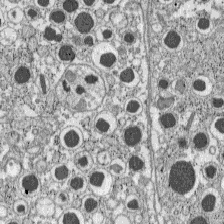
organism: C57BL Mouse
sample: Pancreatic islet